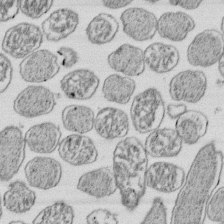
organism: E. coli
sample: Bacterial nucleoid